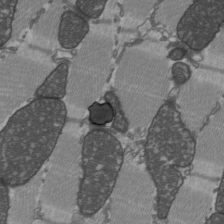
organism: C57BL Mouse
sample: Heart